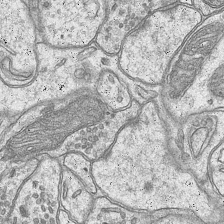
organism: Mouse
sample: CA1 Hippocampus